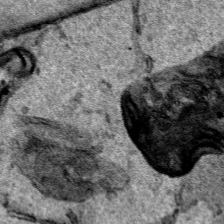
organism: Human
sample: Mitochondria in HCT116 cells